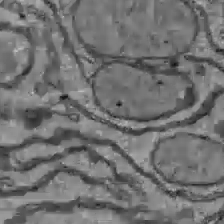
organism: C57BL Mouse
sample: Liver